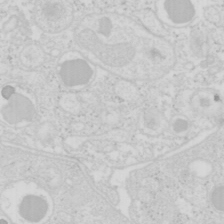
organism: Mouse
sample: Pancreas